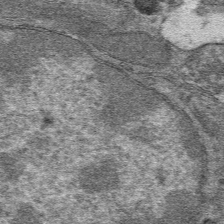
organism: Mouse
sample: Mouse hepatocytes